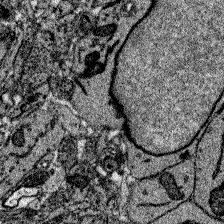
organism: Zebrafish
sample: Larval olfactory bulb